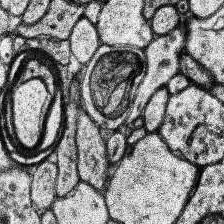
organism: Human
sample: Temporal Lobe